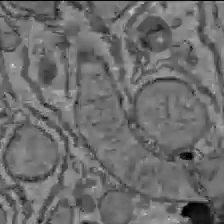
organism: C57BL Mouse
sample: Liver